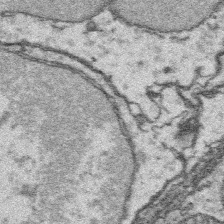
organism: Platynereis dumerilii